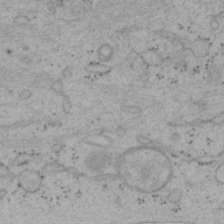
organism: Human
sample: HeLa cells